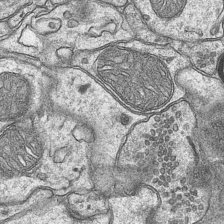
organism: Mouse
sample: CA1 Hippocampus